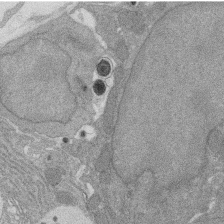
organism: Rat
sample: Salivary granule